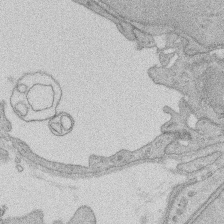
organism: Rat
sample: Salivary granule